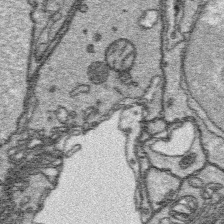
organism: Platynereis dumerilii